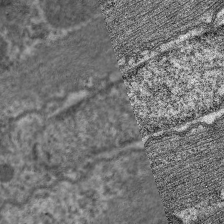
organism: C. elegans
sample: Pharynx